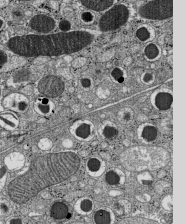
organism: C57BL Mouse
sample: Pancreatic islet